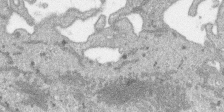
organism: Human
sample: Lung epithelial cells infected with SARS-CoV-2